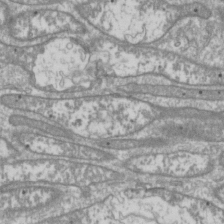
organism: Drosophila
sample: Cell division; meiosis; drosophila spermatocytes